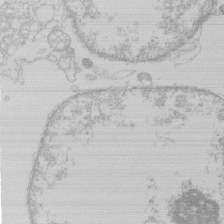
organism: Human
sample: Macrophage cells